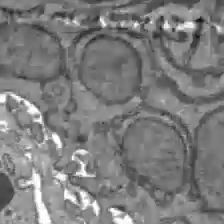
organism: C57BL Mouse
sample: Liver